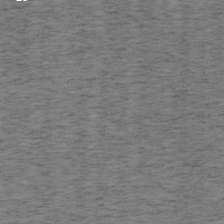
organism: Mouse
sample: OT-I killer T cells with ID8 ovarian cancer cells